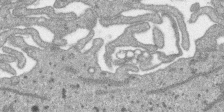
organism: Human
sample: Lung epithelial cells infected with SARS-CoV-2